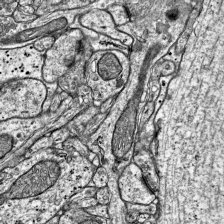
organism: Mouse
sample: Visual Cortex